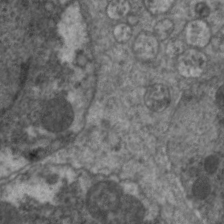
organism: C. elegans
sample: Pharynx